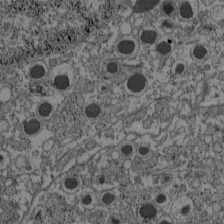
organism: C57BL Mouse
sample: Pancreatic islet